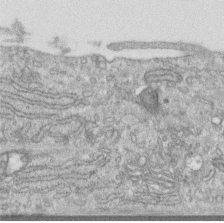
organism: Human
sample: Centriole in RPE cells